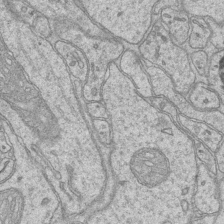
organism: Mouse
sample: CA1 Hippocampus